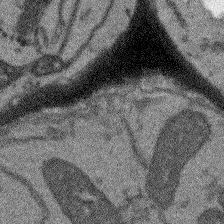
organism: Arabidopsis thaliana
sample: Root tip